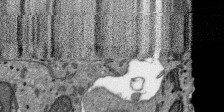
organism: Human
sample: Lung epithelial cells, uninfected (mock) control